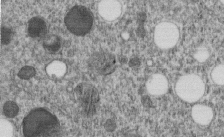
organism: C. elegans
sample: C. elegans embryo early stage